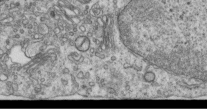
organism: Human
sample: Centriole in RPE cells